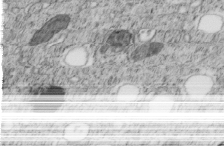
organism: C. elegans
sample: C. elegans embryo early stage